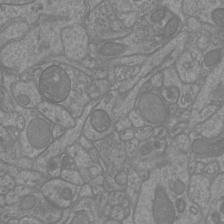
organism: Mouse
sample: Cortical neurons